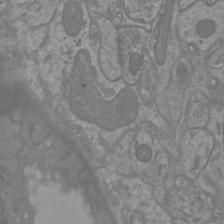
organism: Mouse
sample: Cortical neurons